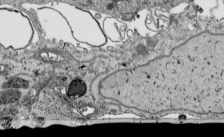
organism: Human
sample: Mitochondria in HCT116 cells